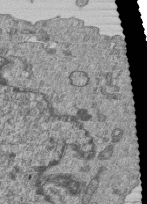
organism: Human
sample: MDA-MB-231 cells